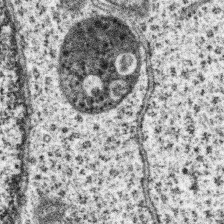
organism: Human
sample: HeLa cells